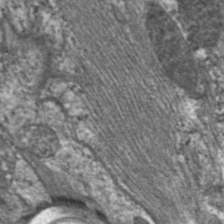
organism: C. elegans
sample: Pharynx